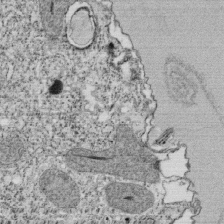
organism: Tetrahymena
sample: Cilia in tetrahymena